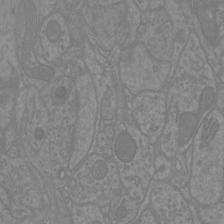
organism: Mouse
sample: Cortical neurons